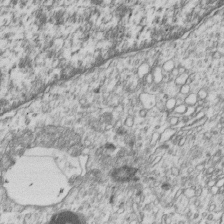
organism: Human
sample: MDA-MB-231 cells